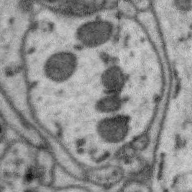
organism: Zebra finch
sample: Brain